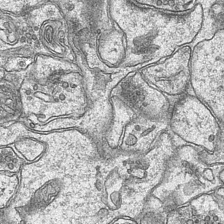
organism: Mouse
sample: CA1 Hippocampus